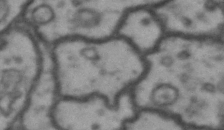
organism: Drosophila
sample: Brain